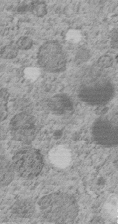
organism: C. elegans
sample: C. elegans embryo early stage